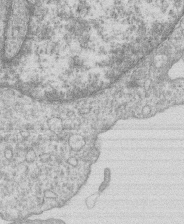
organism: Human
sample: Macrophage cells